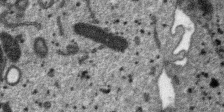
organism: Human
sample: Lung epithelial cells infected with SARS-CoV-2